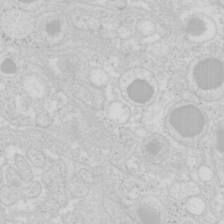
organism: Mouse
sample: Pancreas